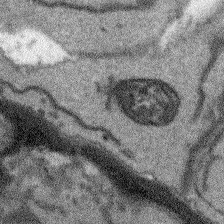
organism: Arabidopsis thaliana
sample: Root tip